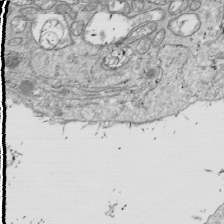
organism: Drosophila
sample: Cell division; meiosis; drosophila spermatocytes